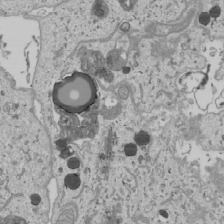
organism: Human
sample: Mitochondria in U2OS cells